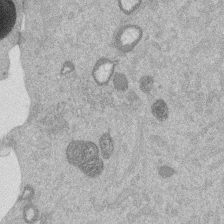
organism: Mouse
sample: Dividing mouse embryo 1 cell stage